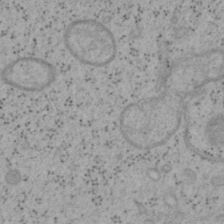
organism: Human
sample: HeLa cells